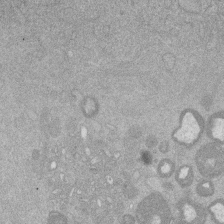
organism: Mouse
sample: Dividing mouse embryo 1 cell stage